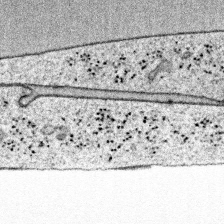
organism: Human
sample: HeLa cells